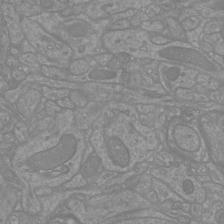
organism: Mouse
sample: Cortical neurons